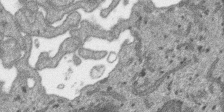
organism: Human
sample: Lung epithelial cells infected with SARS-CoV-2